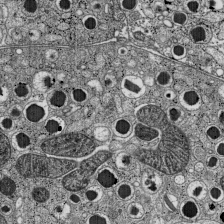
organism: C57BL Mouse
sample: Pancreatic islet